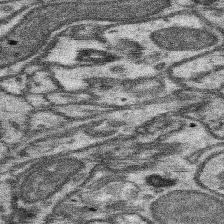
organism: Mouse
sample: Somatosensory cortex neuropil